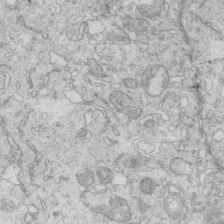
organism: Mouse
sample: Multiciliated cells